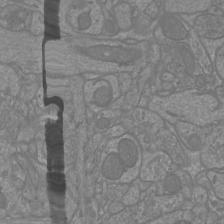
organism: Mouse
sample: Cortical neurons